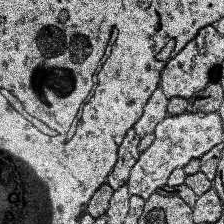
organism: Human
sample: Temporal Lobe